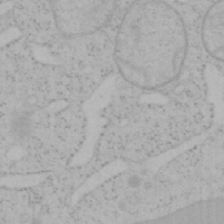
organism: Mouse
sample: OT-I killer T cells with ID8 ovarian cancer cells